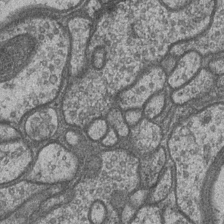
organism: Drosophila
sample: Optic medulla